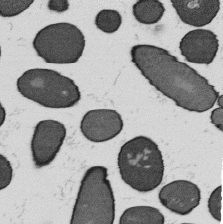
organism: B. subtilis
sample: Bacterial spore